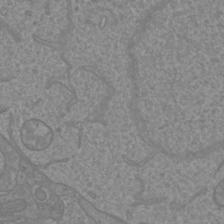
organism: Mouse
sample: Cortical neurons